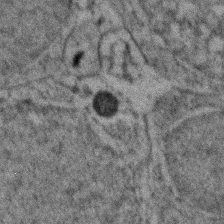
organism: Zebrafish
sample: Zebrafish embryo